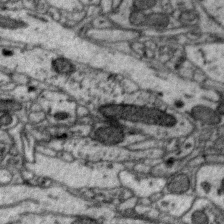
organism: Zebra finch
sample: Brain